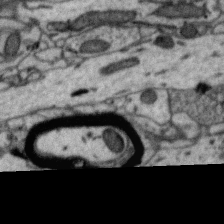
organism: Zebra finch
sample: Brain